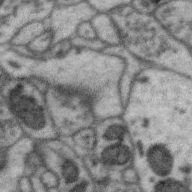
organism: Zebra finch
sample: Brain